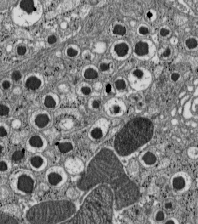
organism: C57BL Mouse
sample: Pancreatic islet